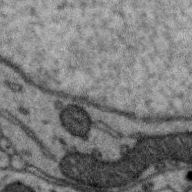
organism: Zebra finch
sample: Brain